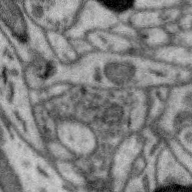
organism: Zebra finch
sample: Brain